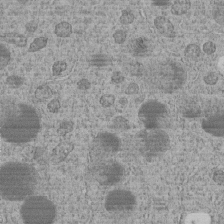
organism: C. elegans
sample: C. elegans embryo early stage